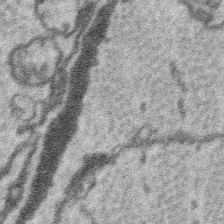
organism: Platynereis dumerilii